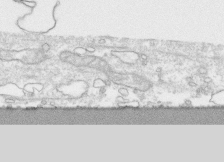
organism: Human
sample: CRL-1474